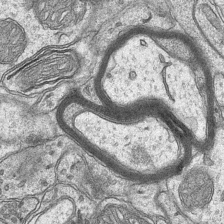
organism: Mouse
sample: CA1 Hippocampus